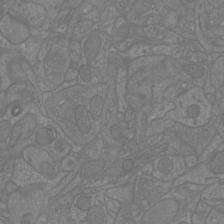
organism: Mouse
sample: Cortical neurons